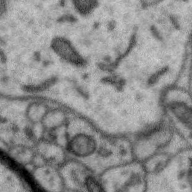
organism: Zebra finch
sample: Brain